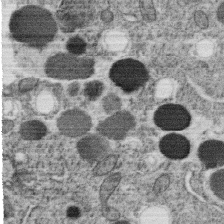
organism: C. elegans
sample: C. elegans oocyte; sperm cells